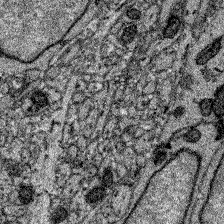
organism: Zebrafish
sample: Larval olfactory bulb